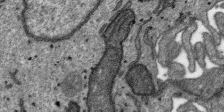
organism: Human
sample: Lung epithelial cells, uninfected (mock) control